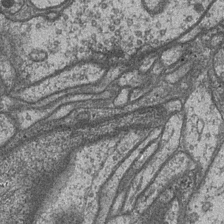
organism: Drosophila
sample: Optic medulla